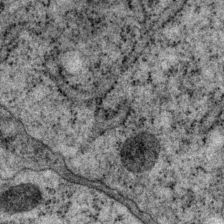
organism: P. pacificus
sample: Pharynx